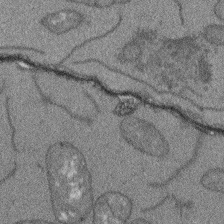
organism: Arabidopsis thaliana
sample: Root tip